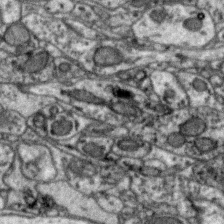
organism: Zebra finch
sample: Brain